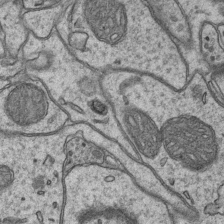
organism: Mouse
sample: CA1 Hippocampus